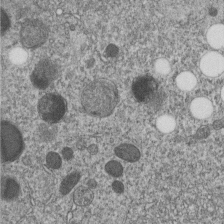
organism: C. elegans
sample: C. elegans embryo early stage